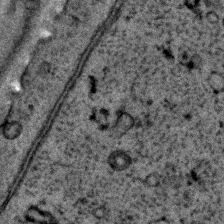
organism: C. elegans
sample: C. elegans embryo